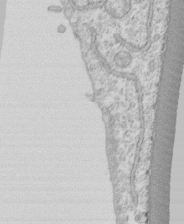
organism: Human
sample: CRL-1474